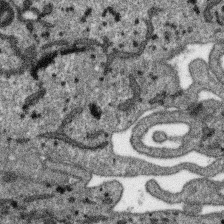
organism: Human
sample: Lung epithelial cells infected with SARS-CoV-2